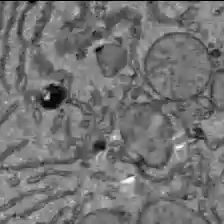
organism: C57BL Mouse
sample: Liver